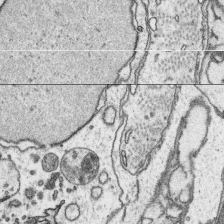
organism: Platynereis dumerilii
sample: Parapodia